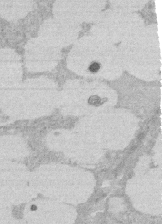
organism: Rat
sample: Salivary granule